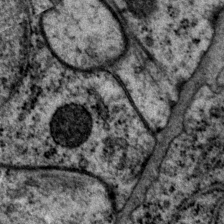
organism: P. pacificus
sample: Pharynx